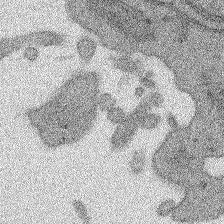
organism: Human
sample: HeLa cells